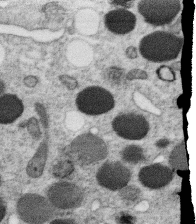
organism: C. elegans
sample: C. elegans oocyte; sperm cells